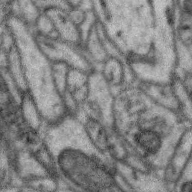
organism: Zebra finch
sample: Brain